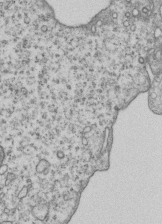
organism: Human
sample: MDA-MB-231 cells